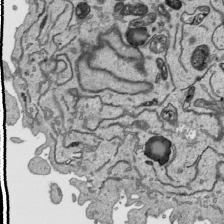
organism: Human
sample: Mitochondria in HCT116 cells